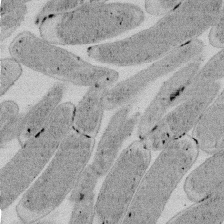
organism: E. coli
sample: Bacterial nucleoid